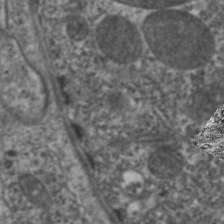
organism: C. elegans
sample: Pharynx